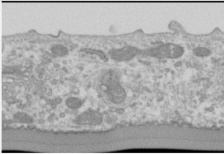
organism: Human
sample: Cilia; basal body in RPE cells